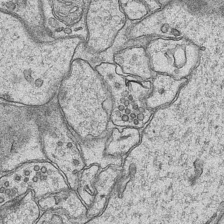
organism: Mouse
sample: CA1 Hippocampus